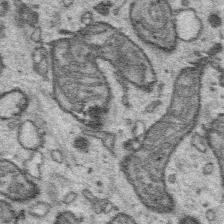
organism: Platynereis dumerilii